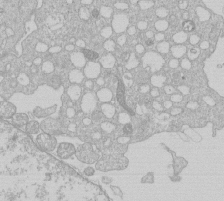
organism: Human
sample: Macrophage cells